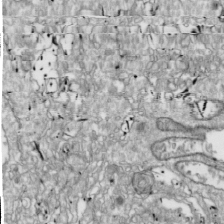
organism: Drosophila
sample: Cell division; meiosis; drosophila spermatocytes